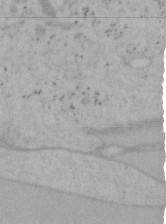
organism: Human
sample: HeLa cells